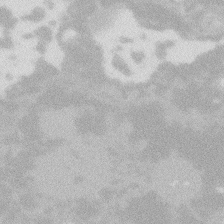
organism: Zebrafish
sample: Macrophage